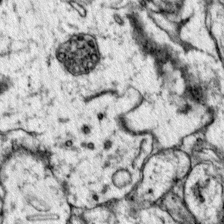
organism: Mouse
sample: Primary visual cortex